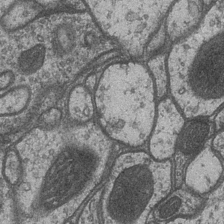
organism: Drosophila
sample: Optic medulla